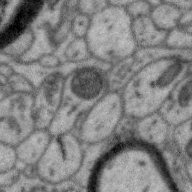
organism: Zebra finch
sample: Brain